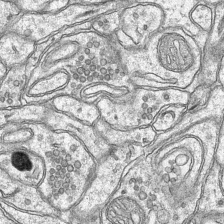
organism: Mouse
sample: CA1 Hippocampus